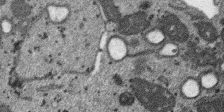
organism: Human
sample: Lung epithelial cells infected with SARS-CoV-2